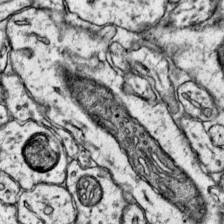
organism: Mouse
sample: Primary visual cortex